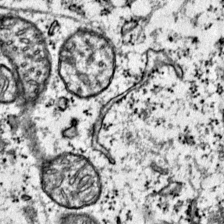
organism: Mouse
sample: Primary visual cortex